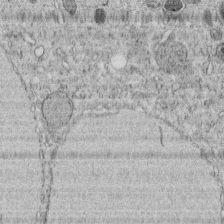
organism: C. elegans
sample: C. elegans embryo early stage